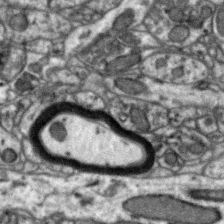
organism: Zebra finch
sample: Brain